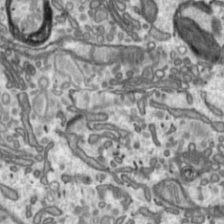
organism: Toxoplasma gondii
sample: Parasites in a vacuole inside a host cell